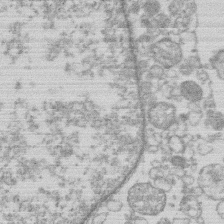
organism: Human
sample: Macrophage cells